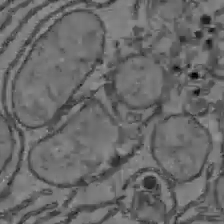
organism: C57BL Mouse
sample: Liver